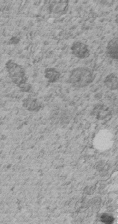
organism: C. elegans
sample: C. elegans embryo early stage